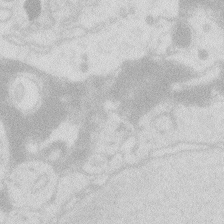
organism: Zebrafish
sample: Macrophage